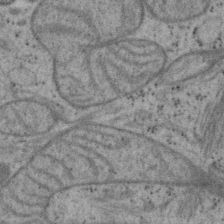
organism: Human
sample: HeLa cells